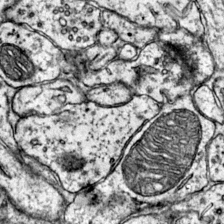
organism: Mouse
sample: Primary visual cortex